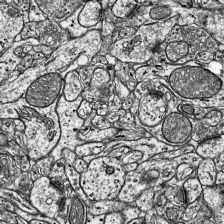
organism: Mouse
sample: Visual Cortex